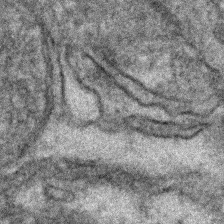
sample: Kidney